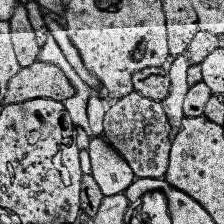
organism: Human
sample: Temporal Lobe